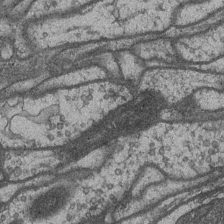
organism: Drosophila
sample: Optic medulla